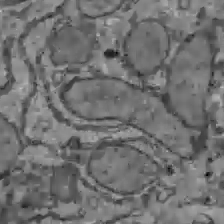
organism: C57BL Mouse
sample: Liver